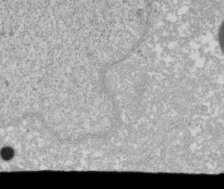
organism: Xenopus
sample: Cilia; centrioles in frog embryo cells